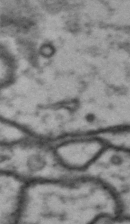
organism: Drosophila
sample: Brain